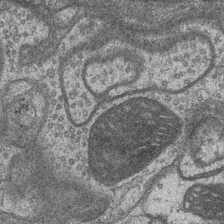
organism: Drosophila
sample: Optic medulla